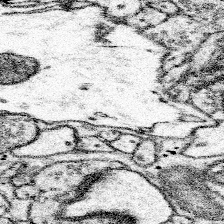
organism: Mouse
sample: Somatosensory cortex neuropil